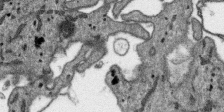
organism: Human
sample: Lung epithelial cells, uninfected (mock) control